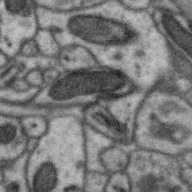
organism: Zebra finch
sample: Brain